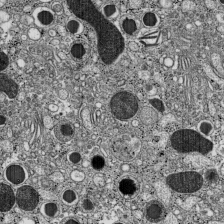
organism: C57BL Mouse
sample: Pancreatic islet